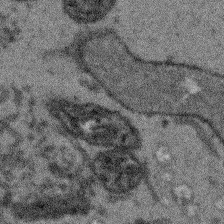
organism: Arabidopsis thaliana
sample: Root tip